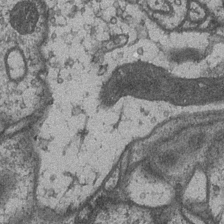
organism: Drosophila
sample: Optic medulla